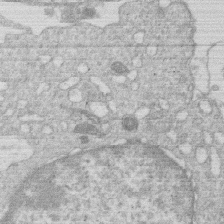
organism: Human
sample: Macrophage cells